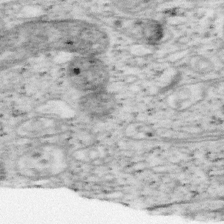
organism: Mouse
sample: OT-I killer T cells with ID8 ovarian cancer cells